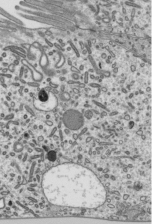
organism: Mouse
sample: Mouse epididymis efferent ductule cilia